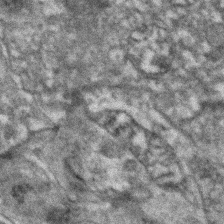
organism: Zebrafish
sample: Zebrafish embryo